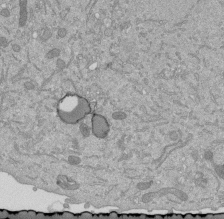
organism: Mouse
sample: ED-1 cell nuclei; centrioles